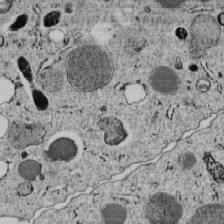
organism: C. elegans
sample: C. elegans embryo early stage